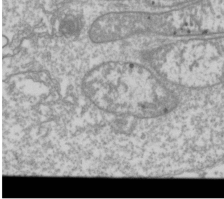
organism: Drosophila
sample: Cell division; meiosis; drosophila spermatocytes